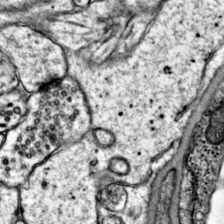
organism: Mouse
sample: Primary visual cortex